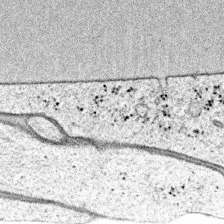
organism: Human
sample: HeLa cells